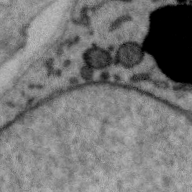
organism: Zebra finch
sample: Brain